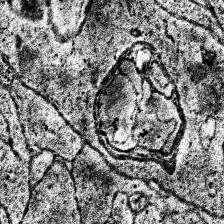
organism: Human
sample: Temporal Lobe